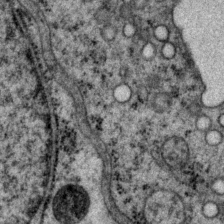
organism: P. pacificus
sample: Pharynx